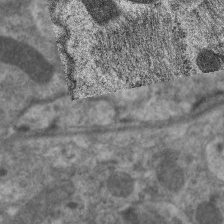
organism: C. elegans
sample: Pharynx